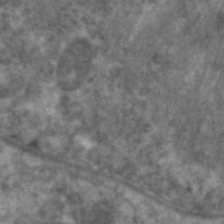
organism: C. elegans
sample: Pharynx